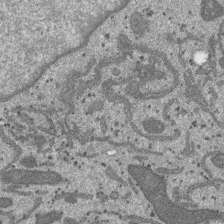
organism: Human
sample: Lung epithelial cells infected with SARS-CoV-2